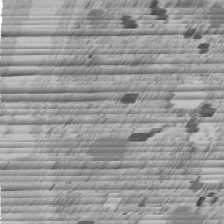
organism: C. elegans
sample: C. elegans embryo early stage